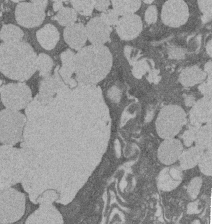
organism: Rat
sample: Salivary granule